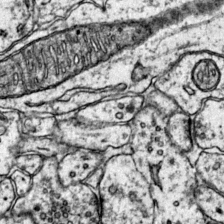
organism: Mouse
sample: Primary visual cortex